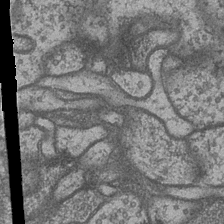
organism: Drosophila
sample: Optic medulla